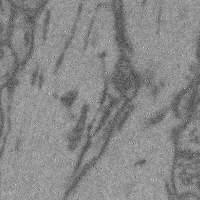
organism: Mouse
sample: Cerebral cortex